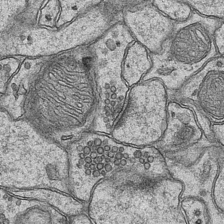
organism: Mouse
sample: CA1 Hippocampus